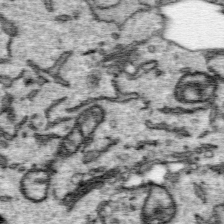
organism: Human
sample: HeLa cells